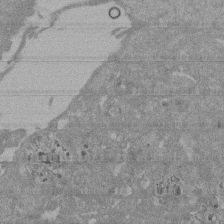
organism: Mouse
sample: ED-1 cell nuclei; centrioles